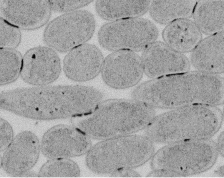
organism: E. coli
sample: Bacterial nucleoid